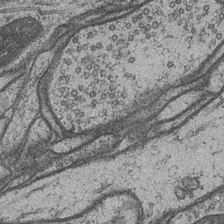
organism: Drosophila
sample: Optic medulla